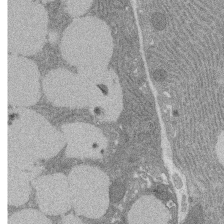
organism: Rat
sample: Salivary granule